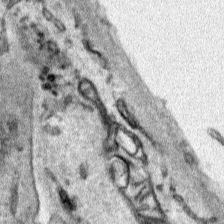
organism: Human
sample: Mitochondria in HCT116 cells